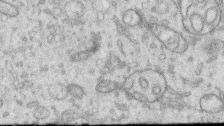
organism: Human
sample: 1205lu cells